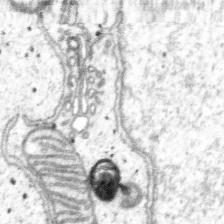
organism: Human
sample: HeLa cells